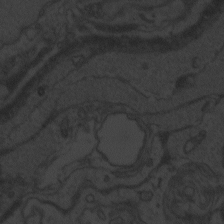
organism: Zebrafish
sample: Macrophage infected with Toxoplasma gondii